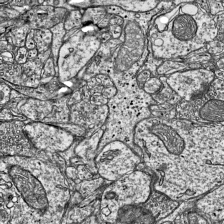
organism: Mouse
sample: Visual Cortex